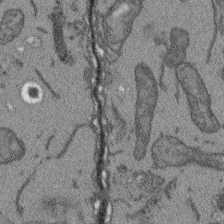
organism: Arabidopsis thaliana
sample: Root tip